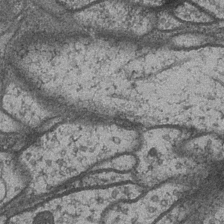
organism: Drosophila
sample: Optic medulla